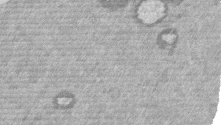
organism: Mouse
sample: Dividing mouse embryo 1 cell stage